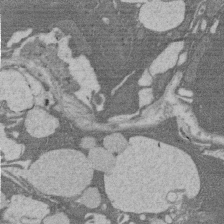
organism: Rat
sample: Salivary granule